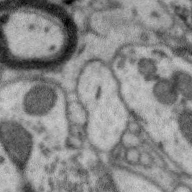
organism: Zebra finch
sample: Brain